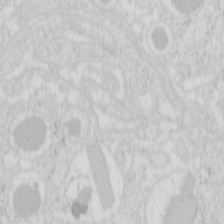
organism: Mouse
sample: Pancreas